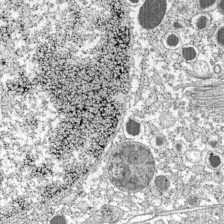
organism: C57BL Mouse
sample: Pancreatic islet